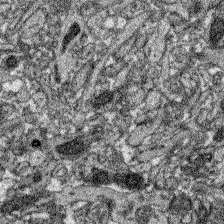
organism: Zebrafish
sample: Larval olfactory bulb